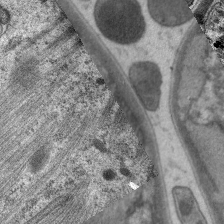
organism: C. elegans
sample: Pharynx